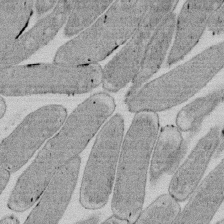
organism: E. coli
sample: Bacterial nucleoid